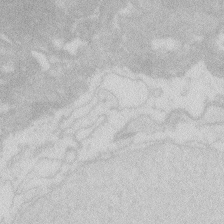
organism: Zebrafish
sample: Macrophage